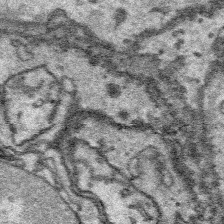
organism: Platynereis dumerilii